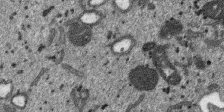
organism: Human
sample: Lung epithelial cells infected with SARS-CoV-2